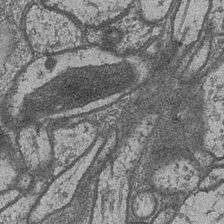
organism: Drosophila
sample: Optic medulla